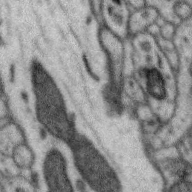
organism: Zebra finch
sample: Brain